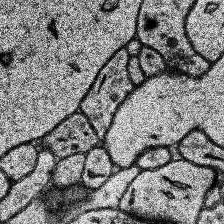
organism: Human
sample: Temporal Lobe